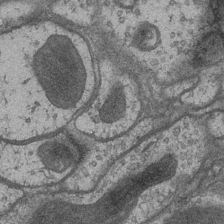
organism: Drosophila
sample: Optic medulla